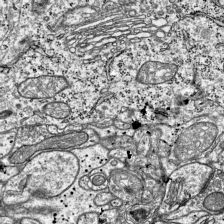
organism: Mouse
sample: Visual Cortex